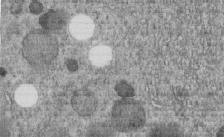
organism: C. elegans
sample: C. elegans embryo early stage